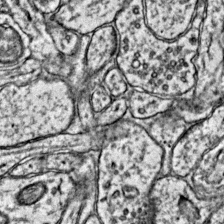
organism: Mouse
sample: Primary visual cortex